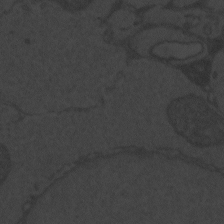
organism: Zebrafish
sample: Macrophage infected with Toxoplasma gondii